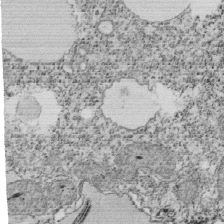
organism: Tetrahymena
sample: Cilia in tetrahymena